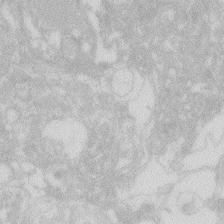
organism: Zebrafish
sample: Macrophage